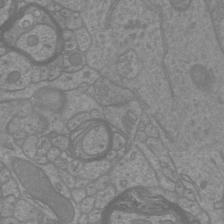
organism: Mouse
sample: Cortical neurons